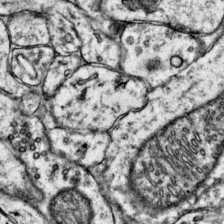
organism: Mouse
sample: Primary visual cortex